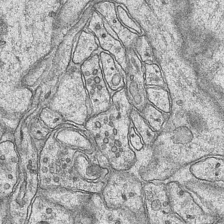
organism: Mouse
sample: CA1 Hippocampus